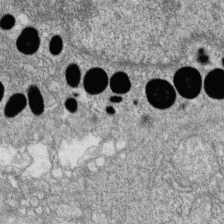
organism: Zebrafish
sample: Cilia; retinal pigment epithelium